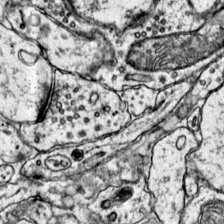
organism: Mouse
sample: Primary visual cortex